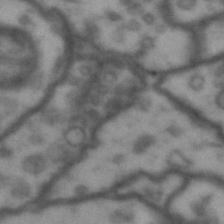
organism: Drosophila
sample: Brain